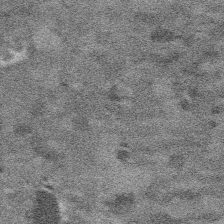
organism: Platynereis dumerilii